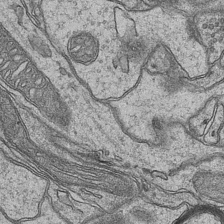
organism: Mouse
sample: CA1 Hippocampus